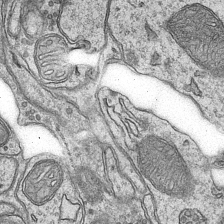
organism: Mouse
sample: CA1 Hippocampus